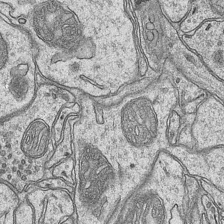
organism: Mouse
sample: CA1 Hippocampus